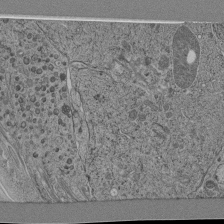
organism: C. elegans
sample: C. elegans pharynx